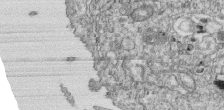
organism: Human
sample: HeLa cell HIV synapse